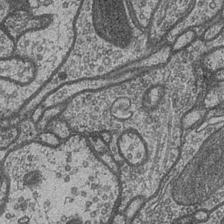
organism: Drosophila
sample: Optic medulla